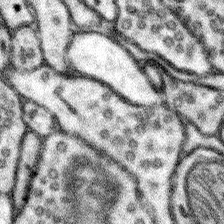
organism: Mouse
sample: Somatosensory cortex neuropil